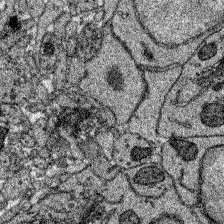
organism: Zebrafish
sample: Larval olfactory bulb